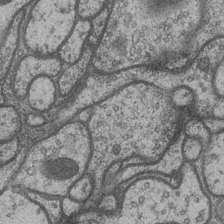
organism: Drosophila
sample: Optic medulla